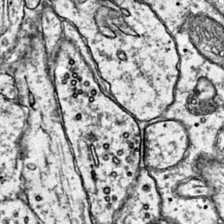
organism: Mouse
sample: Primary visual cortex